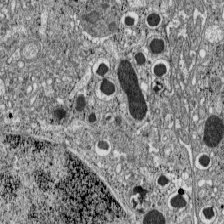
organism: C57BL Mouse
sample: Pancreatic islet